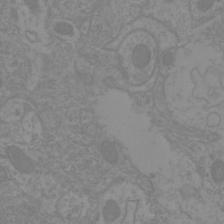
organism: Mouse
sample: Cortical neurons